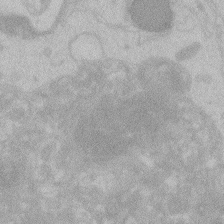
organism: Zebrafish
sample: Macrophage infected with Toxoplasma gondii